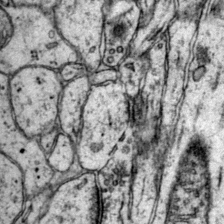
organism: Mouse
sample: Primary visual cortex